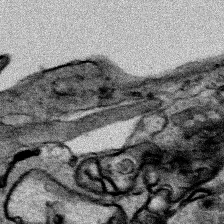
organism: Human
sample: Mitochondria in HCT116 cells